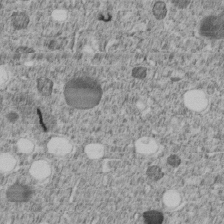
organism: C. elegans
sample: C. elegans embryo early stage